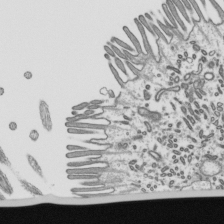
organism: Mouse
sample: Mouse epididymis efferent ductule cilia